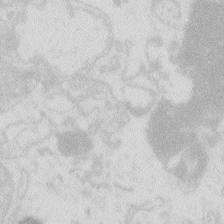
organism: Zebrafish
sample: Macrophage